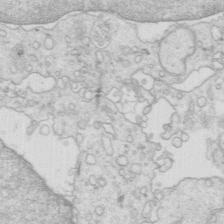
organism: Mouse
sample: Multiciliated cells